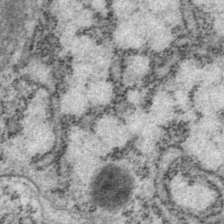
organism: P. pacificus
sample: Pharynx